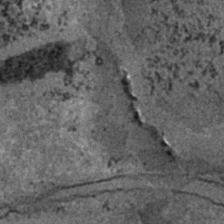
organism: C. elegans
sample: C. elegans embryo